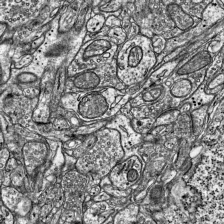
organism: Mouse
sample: Visual Cortex